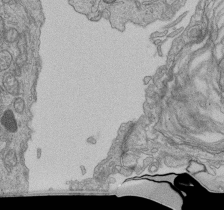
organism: Human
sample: Retinal organoid Rod and Cone cells